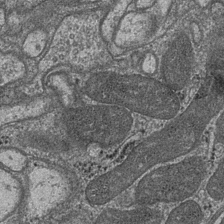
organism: Drosophila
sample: Optic medulla